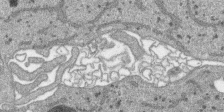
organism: Human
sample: Lung epithelial cells infected with SARS-CoV-2